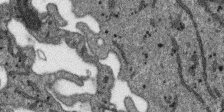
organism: Human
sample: Lung epithelial cells infected with SARS-CoV-2